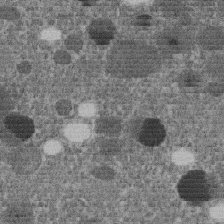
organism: C. elegans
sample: C. elegans embryo early stage